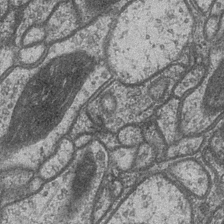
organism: Drosophila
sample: Optic medulla